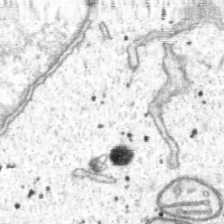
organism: Human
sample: HeLa cells